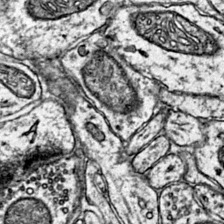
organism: Mouse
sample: Primary visual cortex